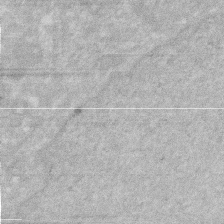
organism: Human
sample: HIV infected U937 cells